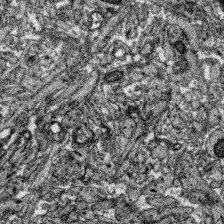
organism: Zebrafish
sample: Larval olfactory bulb